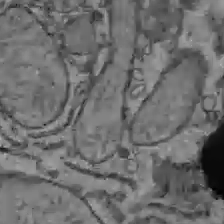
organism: C57BL Mouse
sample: Liver